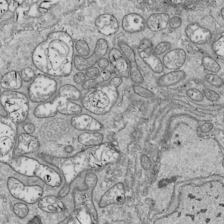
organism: Drosophila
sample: Cell division; meiosis; drosophila spermatocytes